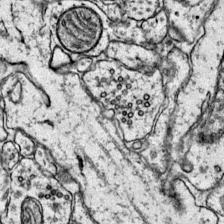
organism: Mouse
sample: Primary visual cortex